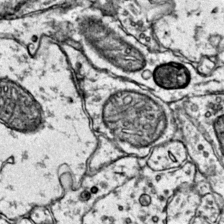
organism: Mouse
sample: Primary visual cortex